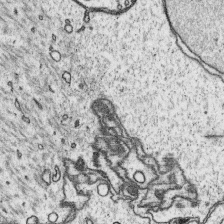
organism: Platynereis dumerilii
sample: Parapodia